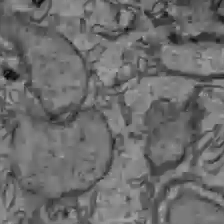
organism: C57BL Mouse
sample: Liver